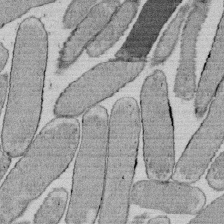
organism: E. coli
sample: Bacterial nucleoid